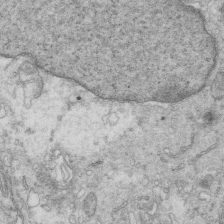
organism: Mouse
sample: Multiciliated cells